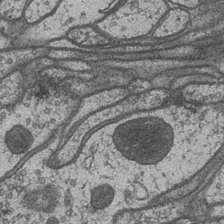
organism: Drosophila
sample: Optic medulla